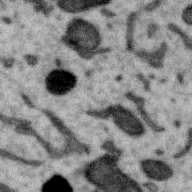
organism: Zebra finch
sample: Brain